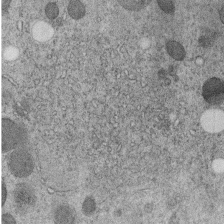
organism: C. elegans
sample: C. elegans embryo early stage